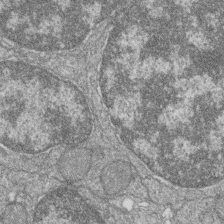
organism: Zebrafish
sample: Cilia; retinal pigment epithelium